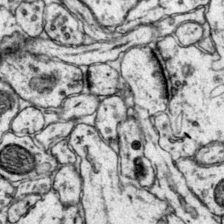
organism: Mouse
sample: Primary visual cortex